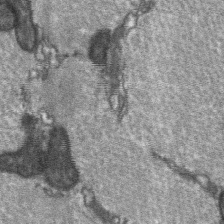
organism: C57BL Mouse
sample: Soleus